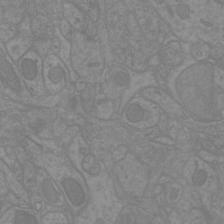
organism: Mouse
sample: Cortical neurons